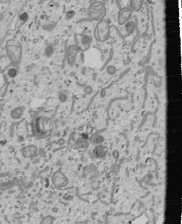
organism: Human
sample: Mitochondria in U2OS cells